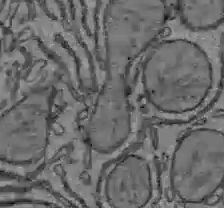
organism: C57BL Mouse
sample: Liver